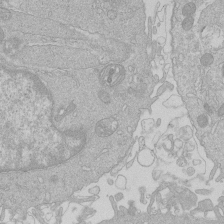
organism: Human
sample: Macrophage cells